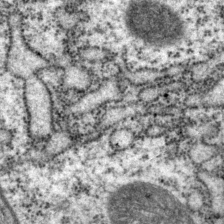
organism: P. pacificus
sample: Pharynx